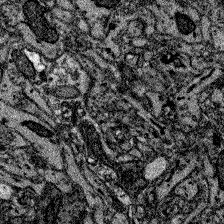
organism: Zebrafish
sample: Larval olfactory bulb